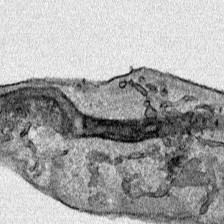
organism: Human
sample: Mitochondria in HCT116 cells